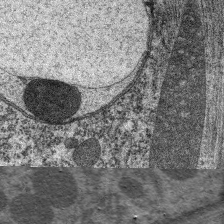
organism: C. elegans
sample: Pharynx